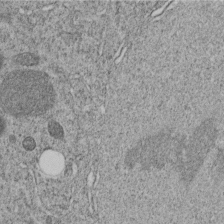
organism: C. elegans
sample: C. elegans embryo early stage